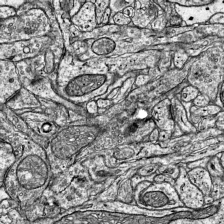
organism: Mouse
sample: Visual Cortex